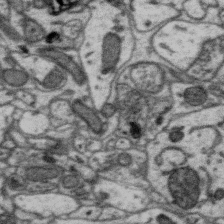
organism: Zebra finch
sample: Brain